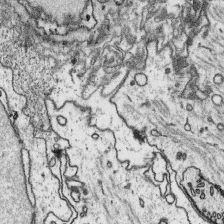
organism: Platynereis dumerilii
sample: Parapodia